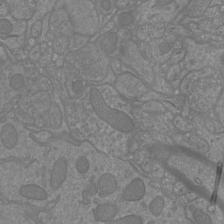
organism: Mouse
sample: Cortical neurons